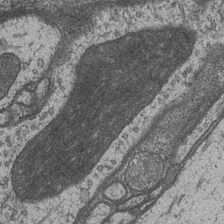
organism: Drosophila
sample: Optic medulla